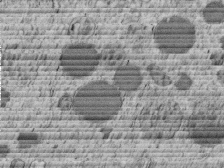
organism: C. elegans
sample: C. elegans embryo early stage